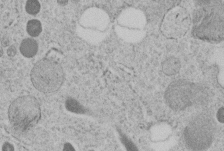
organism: C. elegans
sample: C. elegans embryo early stage